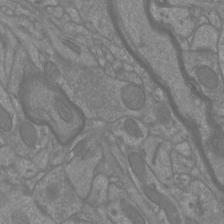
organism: Mouse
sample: Cortical neurons